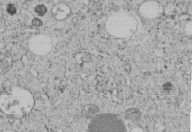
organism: C. elegans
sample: C. elegans embryo early stage